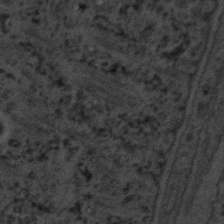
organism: C. elegans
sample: C. elegans embryo